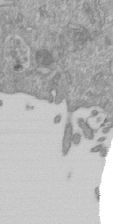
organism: Mouse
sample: ED-1 cell nuclei; centrioles